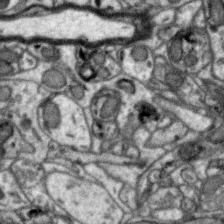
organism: Zebra finch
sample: Brain